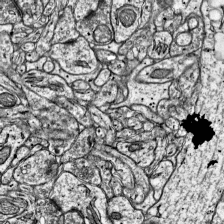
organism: Mouse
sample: Visual Cortex